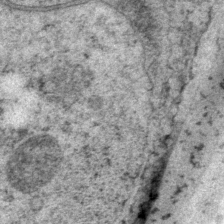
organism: P. pacificus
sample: Pharynx